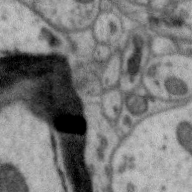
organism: Zebra finch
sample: Brain